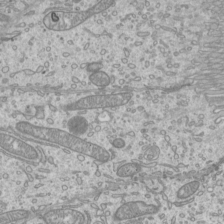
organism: Mouse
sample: Cilia; mouse epididymis